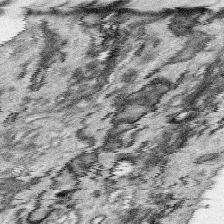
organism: Human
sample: HeLa cells